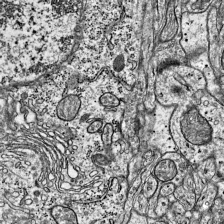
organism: Mouse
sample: Visual Cortex